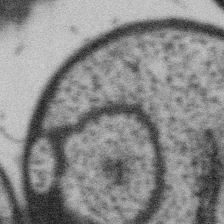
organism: Gemmata obscuriglobus